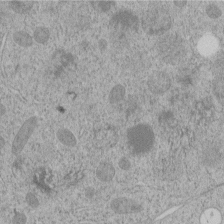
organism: C. elegans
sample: C. elegans embryo early stage